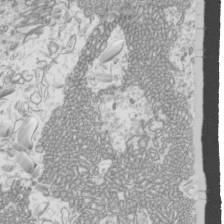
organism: Mouse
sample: Cilia; mouse epididymis